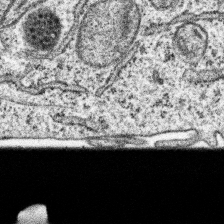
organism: Human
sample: HeLa cells